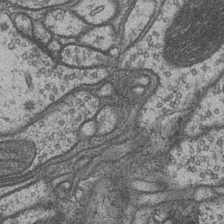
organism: Drosophila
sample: Optic medulla